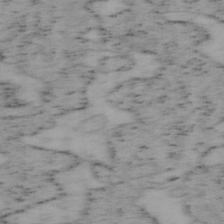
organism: Mouse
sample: OT-I killer T cells with ID8 ovarian cancer cells